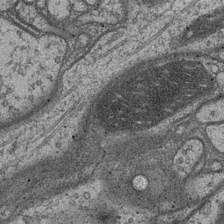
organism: Drosophila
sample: Optic medulla